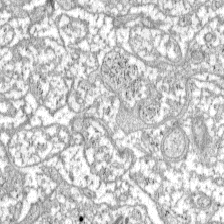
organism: C57BL Mouse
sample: Pancreatic islet